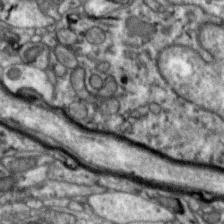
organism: Zebra finch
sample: Brain